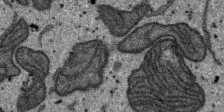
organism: Human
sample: Lung epithelial cells, uninfected (mock) control